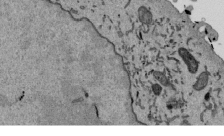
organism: Mouse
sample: ED-1 cell nuclei; centrioles